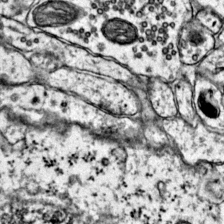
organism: Mouse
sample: Primary visual cortex